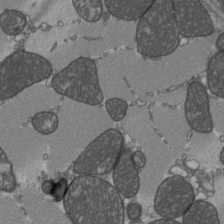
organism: C57BL Mouse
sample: Heart